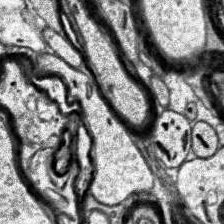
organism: Human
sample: Temporal Lobe